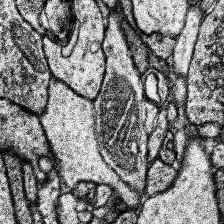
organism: Human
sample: Temporal Lobe